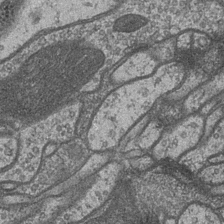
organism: Drosophila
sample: Optic medulla